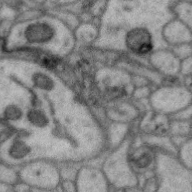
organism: Zebra finch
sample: Brain